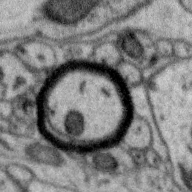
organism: Zebra finch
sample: Brain